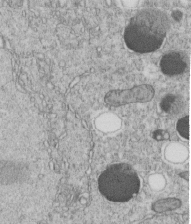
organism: C. elegans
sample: C. elegans embryo early stage